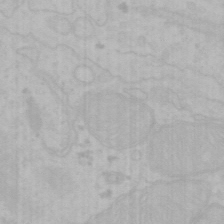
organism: Mouse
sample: Choroid plexus